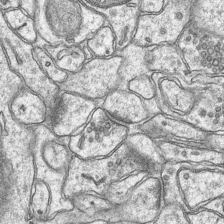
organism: Mouse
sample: CA1 Hippocampus